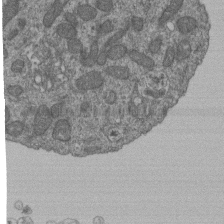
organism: Human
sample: Retinal organoid Rod and Cone cells